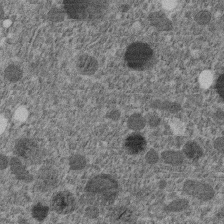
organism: C. elegans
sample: C. elegans embryo early stage